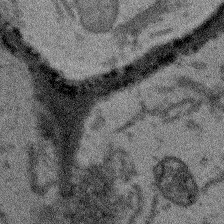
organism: Arabidopsis thaliana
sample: Root tip